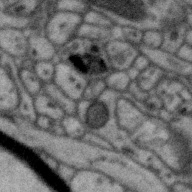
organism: Zebra finch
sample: Brain